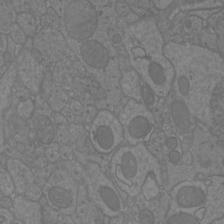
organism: Mouse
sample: Cortical neurons